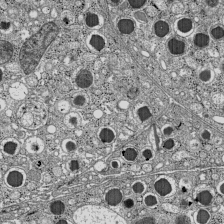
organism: C57BL Mouse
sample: Pancreatic islet